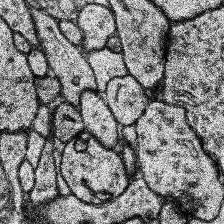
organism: Human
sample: Temporal Lobe